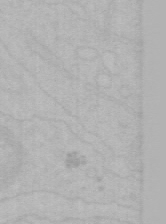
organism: Mouse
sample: Choroid plexus